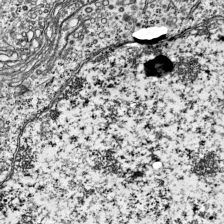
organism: Mouse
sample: Visual Cortex